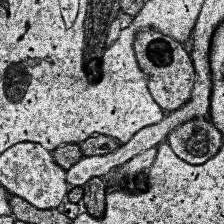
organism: Human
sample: Temporal Lobe